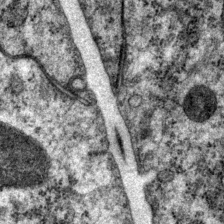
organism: P. pacificus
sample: Pharynx